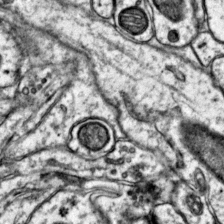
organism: Mouse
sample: Primary visual cortex